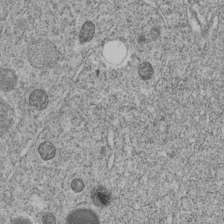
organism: C. elegans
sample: C. elegans embryo early stage